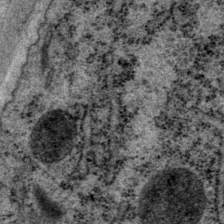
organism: P. pacificus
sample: Pharynx